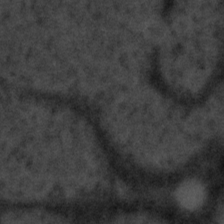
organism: Tuwongella immobilis